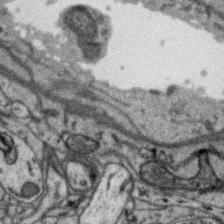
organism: Zebra finch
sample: Brain